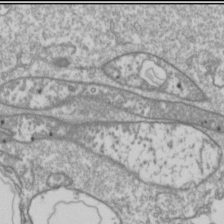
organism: Drosophila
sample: Cell division; meiosis; drosophila spermatocytes